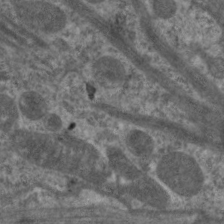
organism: C. elegans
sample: Pharynx